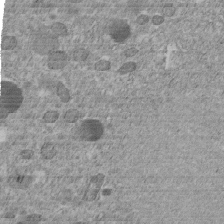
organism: C. elegans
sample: C. elegans embryo early stage